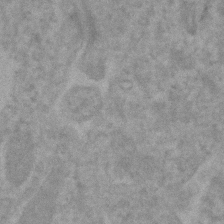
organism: Human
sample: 1205lu cells